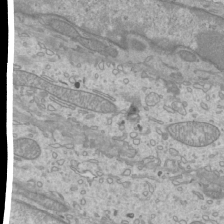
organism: Mouse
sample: Cilia; mouse epididymis